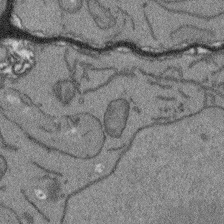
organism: Arabidopsis thaliana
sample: Root tip